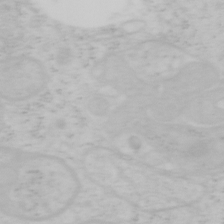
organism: Mouse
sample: OT-I killer T cells with ID8 ovarian cancer cells